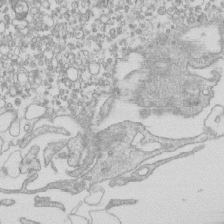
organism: Mouse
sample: Macrophages